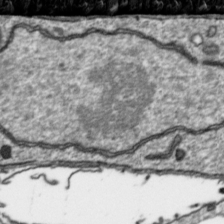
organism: Toxoplasma gondii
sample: Parasites in a vacuole inside a host cell